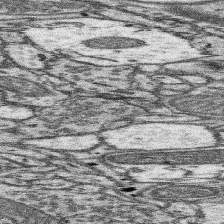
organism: Mouse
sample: Somatosensory cortex neuropil